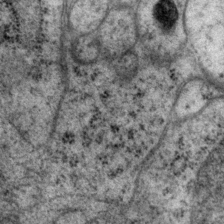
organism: P. pacificus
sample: Pharynx